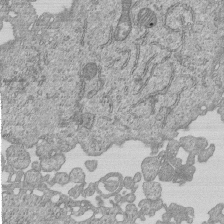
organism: Human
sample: MDA-MB-231 cells